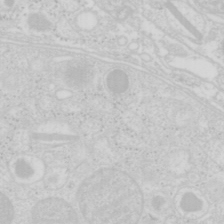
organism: Mouse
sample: Pancreas